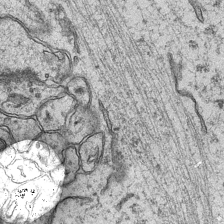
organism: Mouse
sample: CA1 Hippocampus